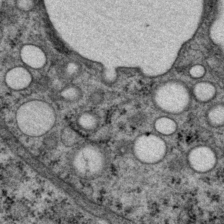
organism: P. pacificus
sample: Pharynx